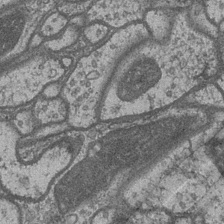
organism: Drosophila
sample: Optic medulla